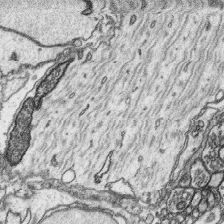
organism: Platynereis dumerilii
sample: Parapodia